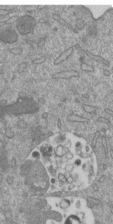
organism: Mouse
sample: ED-1 cell nuclei; centrioles